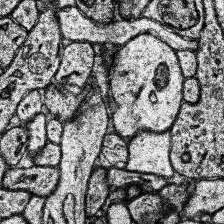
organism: Human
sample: Temporal Lobe